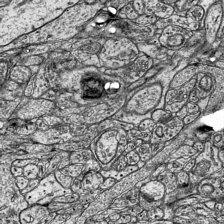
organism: Mouse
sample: Visual Cortex